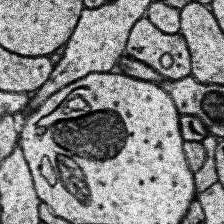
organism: Human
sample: Temporal Lobe